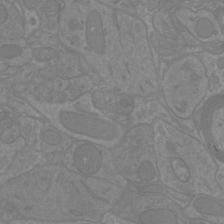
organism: Mouse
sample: Cortical neurons